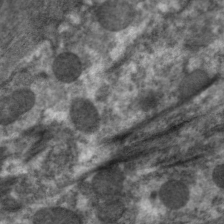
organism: C. elegans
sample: Pharynx